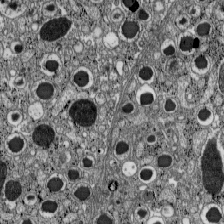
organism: C57BL Mouse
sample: Pancreatic islet